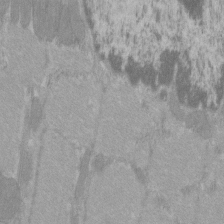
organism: C57BL Mouse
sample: Tibialis anterior muscle cell